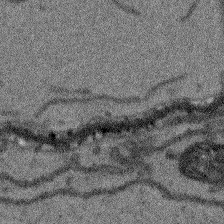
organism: Arabidopsis thaliana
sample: Root tip